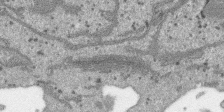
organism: Human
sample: Lung epithelial cells infected with SARS-CoV-2